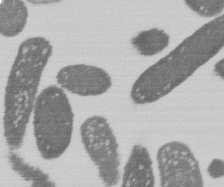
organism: E. coli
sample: Bacterial nucleoid